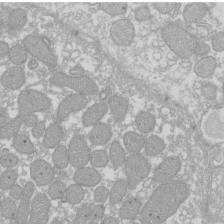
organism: Xenopus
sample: Cilia; centrioles in frog embryo cells